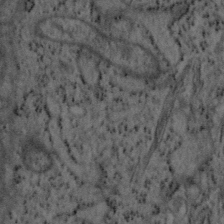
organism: Human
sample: HeLa cells